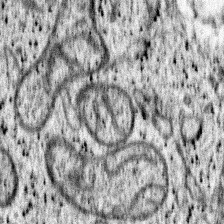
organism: Human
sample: HeLa cells